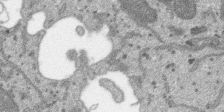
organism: Human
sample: Lung epithelial cells infected with SARS-CoV-2